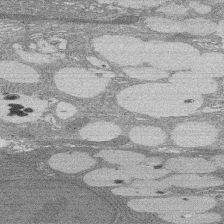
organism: Rat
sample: Salivary granule